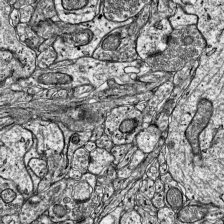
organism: Mouse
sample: Visual Cortex